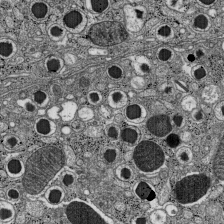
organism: C57BL Mouse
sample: Pancreatic islet